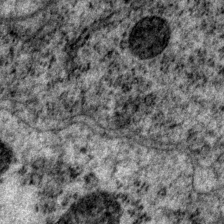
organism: P. pacificus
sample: Pharynx